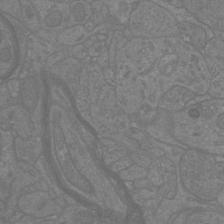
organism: Mouse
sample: Cortical neurons